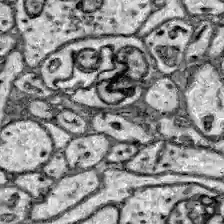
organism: Zebrafish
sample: Brain